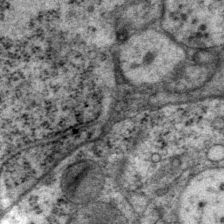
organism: P. pacificus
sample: Pharynx